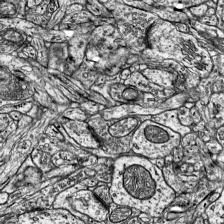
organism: Mouse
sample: Visual Cortex